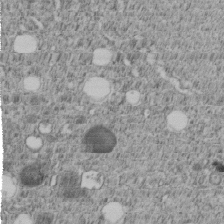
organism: C. elegans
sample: C. elegans embryo early stage